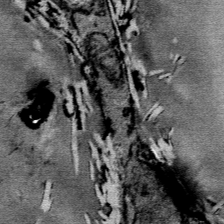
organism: Mouse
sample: Mouse Salivary gland